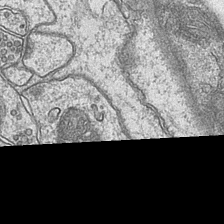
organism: Mouse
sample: CA1 Hippocampus